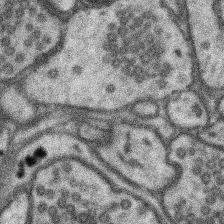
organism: Mouse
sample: Somatosensory cortex neuropil